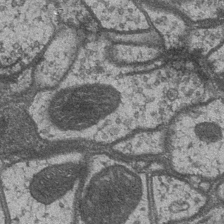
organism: Drosophila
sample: Optic medulla